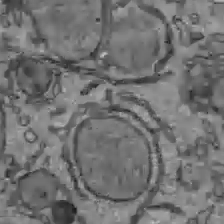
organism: C57BL Mouse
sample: Liver